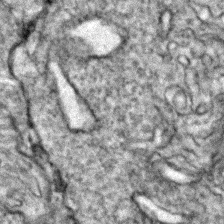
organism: Zebrafish